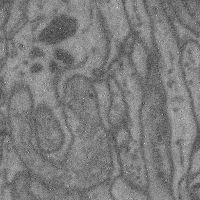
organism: Mouse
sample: Cerebral cortex